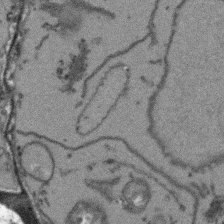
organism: Arabidopsis thaliana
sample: Root tip